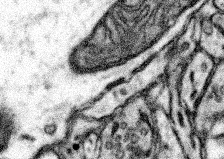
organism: Mouse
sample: Somatosensory cortex neuropil